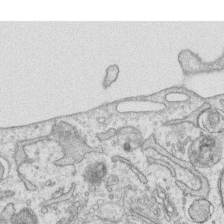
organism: Human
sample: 1205lu cells